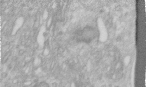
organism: Human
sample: Centriole in RPE cells